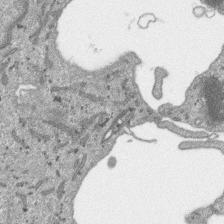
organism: Human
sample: Lung epithelial cells infected with SARS-CoV-2